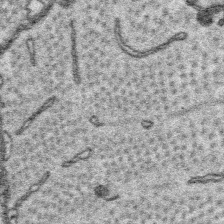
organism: Platynereis dumerilii